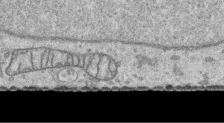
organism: Human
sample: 1205lu cells